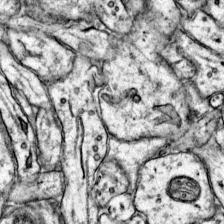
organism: Mouse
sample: Primary visual cortex